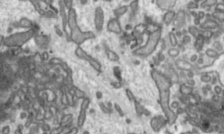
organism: Toxoplasma gondii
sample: Parasites in a vacuole inside a host cell